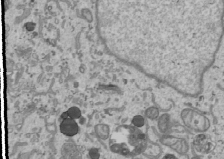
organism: Human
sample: Mitochondria in U2OS cells